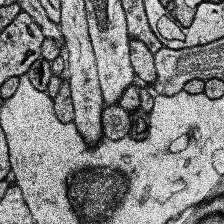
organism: Human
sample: Temporal Lobe